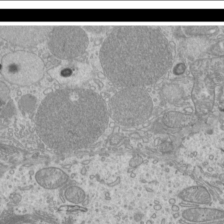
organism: Mouse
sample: Cilia; mouse epididymis